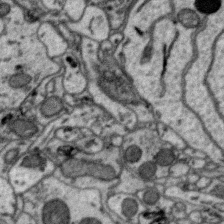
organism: Zebra finch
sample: Brain